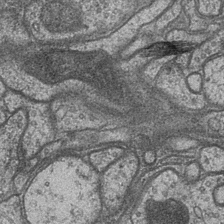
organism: Drosophila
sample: Optic medulla